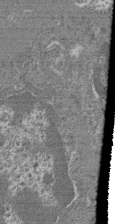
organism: Mouse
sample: Glomerulus